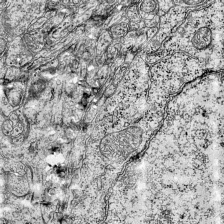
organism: Mouse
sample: Visual Cortex